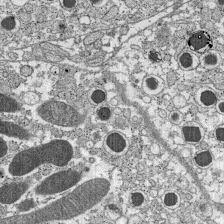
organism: C57BL Mouse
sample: Pancreatic islet